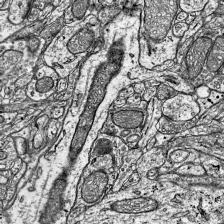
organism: Mouse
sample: Visual Cortex